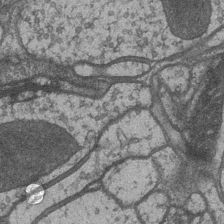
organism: Drosophila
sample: Optic medulla